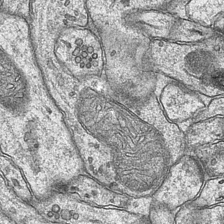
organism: Mouse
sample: CA1 Hippocampus